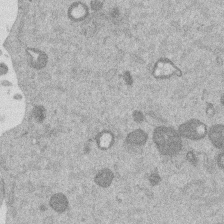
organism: Mouse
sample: Dividing mouse embryo 1 cell stage